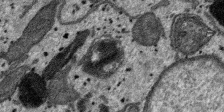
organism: Human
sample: Lung epithelial cells, uninfected (mock) control